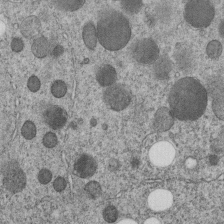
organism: C. elegans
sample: C. elegans embryo early stage